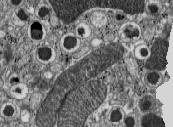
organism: C57BL Mouse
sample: Pancreatic islet